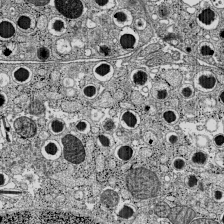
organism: C57BL Mouse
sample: Pancreatic islet